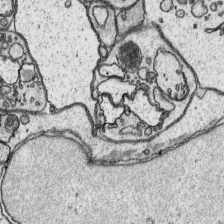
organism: Platynereis dumerilii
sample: Parapodia